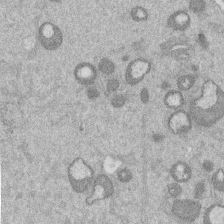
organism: Mouse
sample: Dividing mouse embryo 1 cell stage